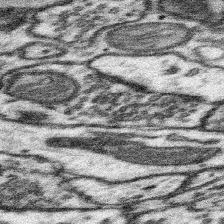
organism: Mouse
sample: Somatosensory cortex neuropil